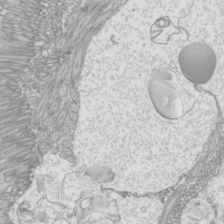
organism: Mouse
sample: Cilia; mouse epididymis